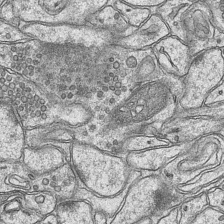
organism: Mouse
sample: CA1 Hippocampus